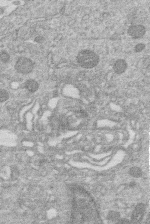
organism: Human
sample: Macrophage cells